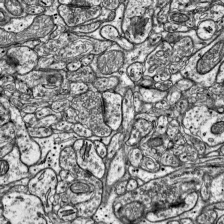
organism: Mouse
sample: Visual Cortex